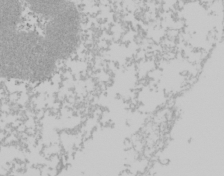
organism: Mouse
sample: Cancer cell death in ED-1 cells